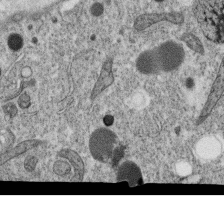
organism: C. elegans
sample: C. elegans oocyte; sperm cells